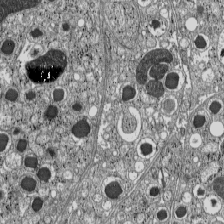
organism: C57BL Mouse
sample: Pancreatic islet